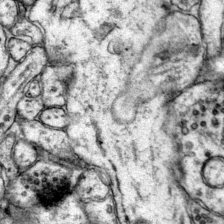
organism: Mouse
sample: Primary visual cortex